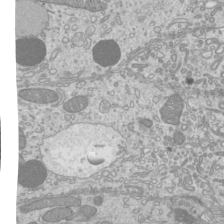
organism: Mouse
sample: Cilia; mouse epididymis